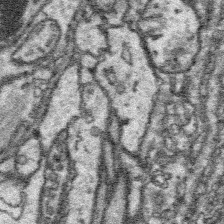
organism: Platynereis dumerilii